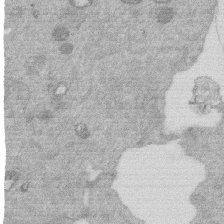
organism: Mouse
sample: Dividing mouse embryo 1 cell stage